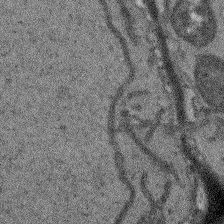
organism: Arabidopsis thaliana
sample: Root tip